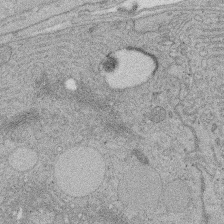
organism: Rat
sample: Salivary granule